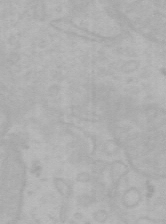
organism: Mouse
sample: Choroid plexus